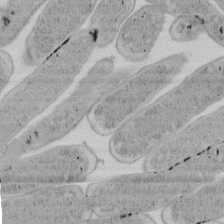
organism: E. coli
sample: Bacterial nucleoid